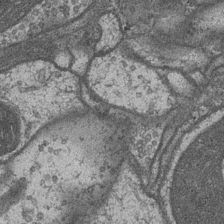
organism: Drosophila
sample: Optic medulla